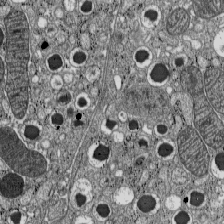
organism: C57BL Mouse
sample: Pancreatic islet